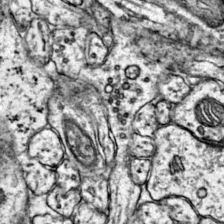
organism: Mouse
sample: Primary visual cortex